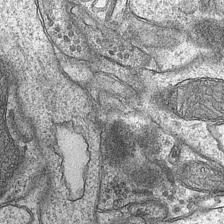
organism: Mouse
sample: CA1 Hippocampus